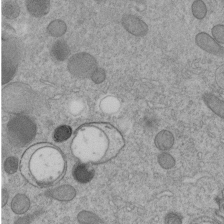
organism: C. elegans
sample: C. elegans embryo early stage